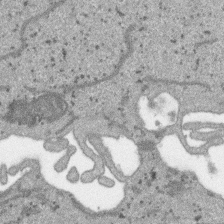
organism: Human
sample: Lung epithelial cells infected with SARS-CoV-2